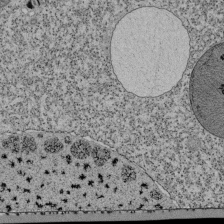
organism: Tetrahymena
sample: Cilia in tetrahymena